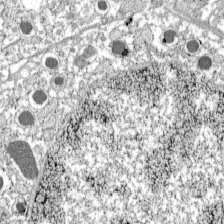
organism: C57BL Mouse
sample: Pancreatic islet